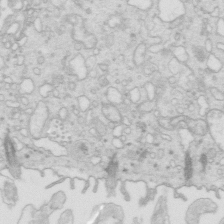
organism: Mouse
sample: Multiciliated cells